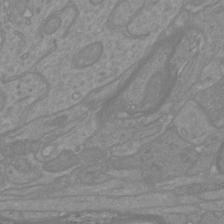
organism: Mouse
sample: Cortical neurons